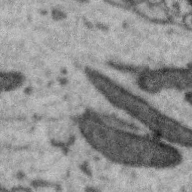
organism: Zebra finch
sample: Brain